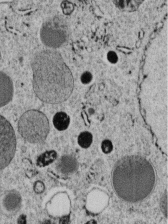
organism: C. elegans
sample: C. elegans embryo early stage